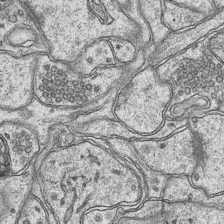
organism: Mouse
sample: CA1 Hippocampus